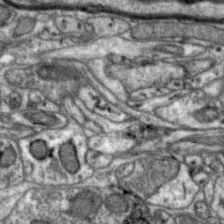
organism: Zebra finch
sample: Brain